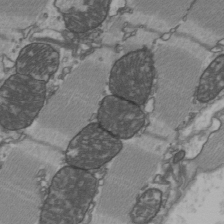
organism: C57BL Mouse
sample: Heart